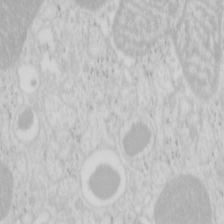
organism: Mouse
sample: Pancreas